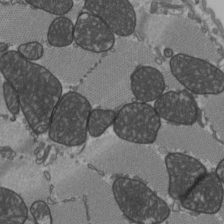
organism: C57BL Mouse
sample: Heart